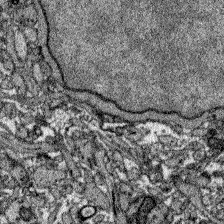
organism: Zebrafish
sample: Larval olfactory bulb